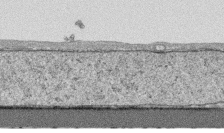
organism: Human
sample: CRL-1474